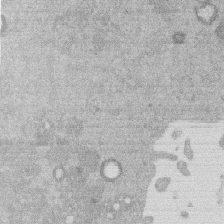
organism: Mouse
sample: Dividing mouse embryo 1 cell stage